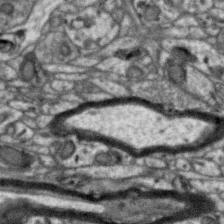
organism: Zebra finch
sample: Brain